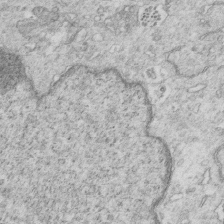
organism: Mouse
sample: Multiciliated cells